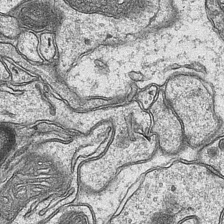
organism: Mouse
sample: CA1 Hippocampus